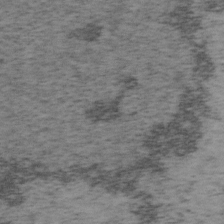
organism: Mouse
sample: OT-I killer T cells with ID8 ovarian cancer cells